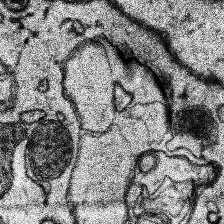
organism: Human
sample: Temporal Lobe